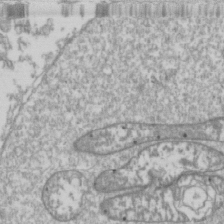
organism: Drosophila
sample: Cell division; meiosis; drosophila spermatocytes